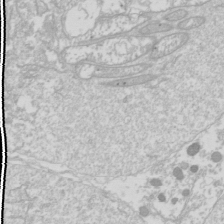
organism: Drosophila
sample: Cell division; meiosis; drosophila spermatocytes